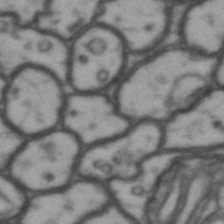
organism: Drosophila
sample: Brain